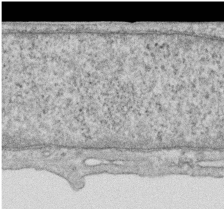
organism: Human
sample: Centriole in RPE cells